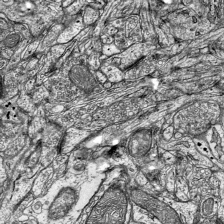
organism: Mouse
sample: Visual Cortex